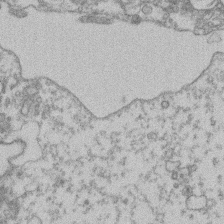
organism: Mouse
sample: T cell stromal cell synapse